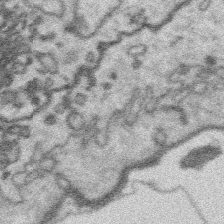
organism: Platynereis dumerilii